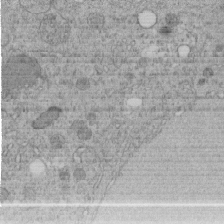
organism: C. elegans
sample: C. elegans embryo early stage